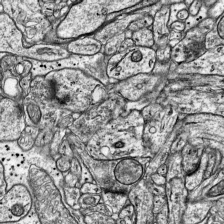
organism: Mouse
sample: Visual Cortex